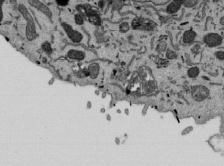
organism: Mouse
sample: ED-1 cell nuclei; centrioles